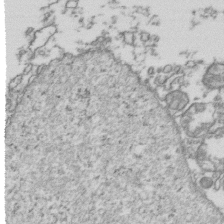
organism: Human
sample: Activated Jurkat CD4+ T cells